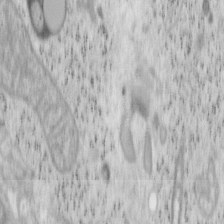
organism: Human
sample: HeLa cells